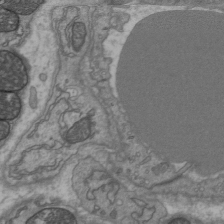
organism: C57BL Mouse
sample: Heart